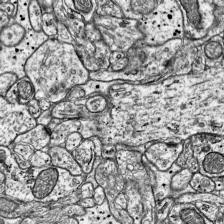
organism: Mouse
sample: Visual Cortex